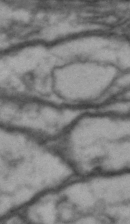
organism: Drosophila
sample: Brain